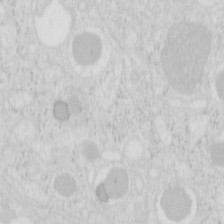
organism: Mouse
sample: Pancreas